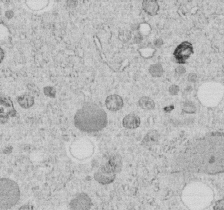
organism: C. elegans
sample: C. elegans embryo early stage